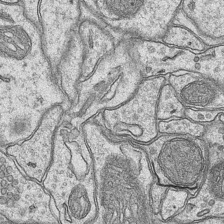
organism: Mouse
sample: CA1 Hippocampus